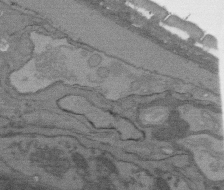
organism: C. elegans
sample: AFD neurons C. elegans